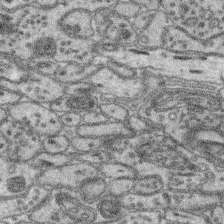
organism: Mouse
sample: Retina